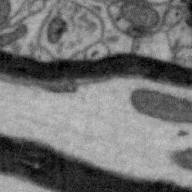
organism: Zebra finch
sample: Brain